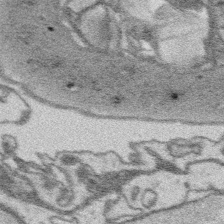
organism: Platynereis dumerilii